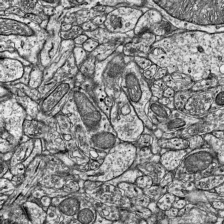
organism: Mouse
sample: Visual Cortex